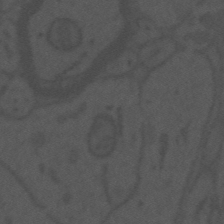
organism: Mouse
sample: Suprachiasmatic nucleus